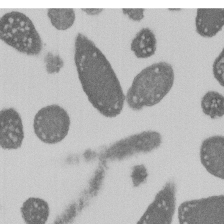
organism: E. coli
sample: Bacterial nucleoid